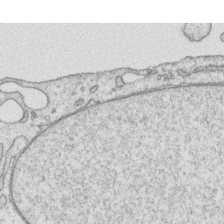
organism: Human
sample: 1205lu cells